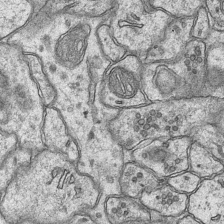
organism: Mouse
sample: CA1 Hippocampus